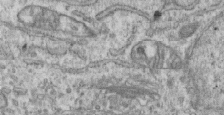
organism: Human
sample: Centriole in RPE cells